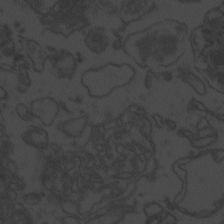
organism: Zebrafish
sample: Macrophage infected with Toxoplasma gondii